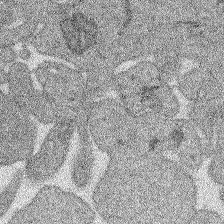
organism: Human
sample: HeLa cells